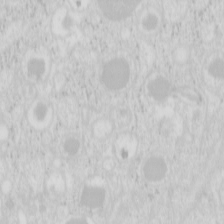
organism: Mouse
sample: Pancreas